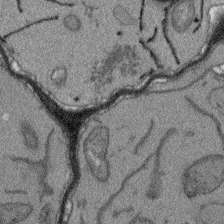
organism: Arabidopsis thaliana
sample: Root tip